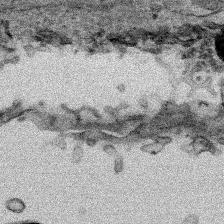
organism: Human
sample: Mitochondria in HCT116 cells